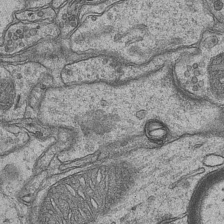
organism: Mouse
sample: CA1 Hippocampus